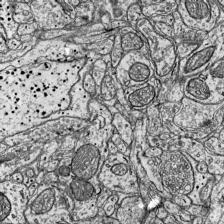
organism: Mouse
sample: Visual Cortex